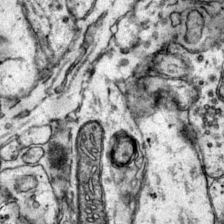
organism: Mouse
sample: Primary visual cortex